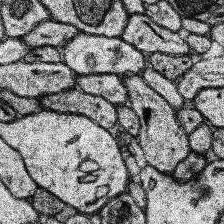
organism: Human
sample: Temporal Lobe